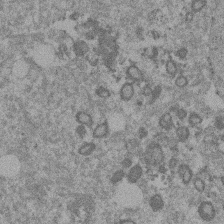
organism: Mouse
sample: Dividing mouse embryo 1 cell stage